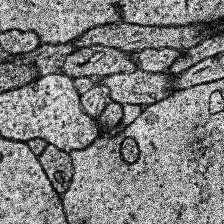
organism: Human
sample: Temporal Lobe